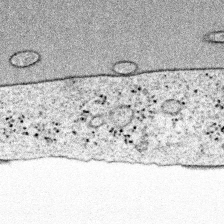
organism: Human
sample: HeLa cells